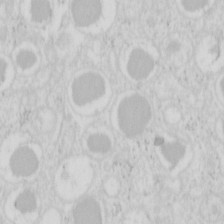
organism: Mouse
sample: Pancreas